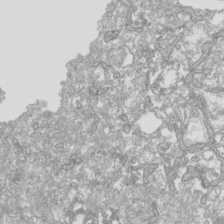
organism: Human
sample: Mitochondria in HCT116 cells